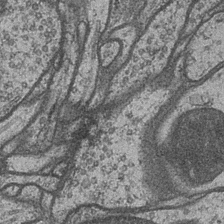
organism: Drosophila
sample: Optic medulla